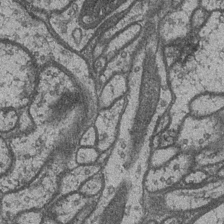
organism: Drosophila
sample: Optic medulla